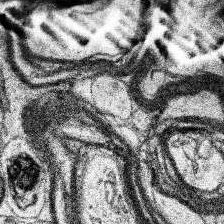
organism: Human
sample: Temporal Lobe